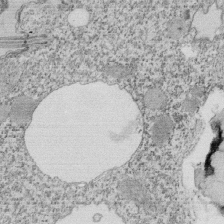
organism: Tetrahymena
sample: Cilia in tetrahymena